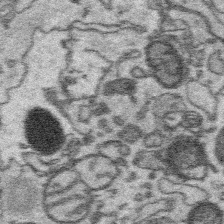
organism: Platynereis dumerilii